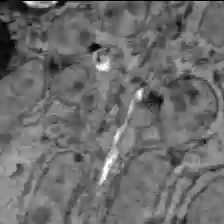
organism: C57BL Mouse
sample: Liver